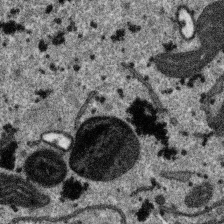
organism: Human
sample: Lung epithelial cells infected with SARS-CoV-2